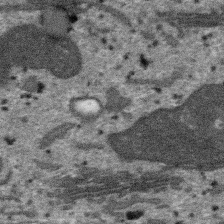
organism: Human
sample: Lung epithelial cells infected with SARS-CoV-2